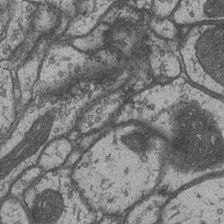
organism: Drosophila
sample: Optic medulla